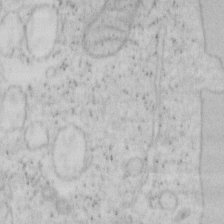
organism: Human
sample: HeLa cells